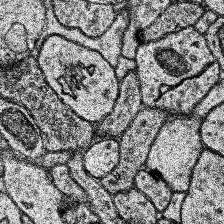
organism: Human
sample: Temporal Lobe